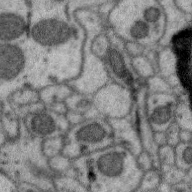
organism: Zebra finch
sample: Brain